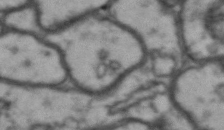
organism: Drosophila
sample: Brain